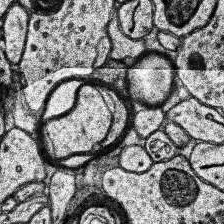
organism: Human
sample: Temporal Lobe